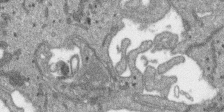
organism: Human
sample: Lung epithelial cells infected with SARS-CoV-2